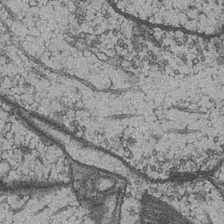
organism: Drosophila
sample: Optic medulla